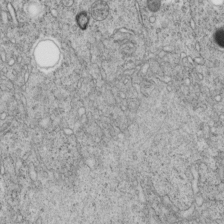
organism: C. elegans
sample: C. elegans embryo early stage